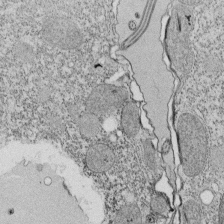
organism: Tetrahymena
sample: Cilia in tetrahymena